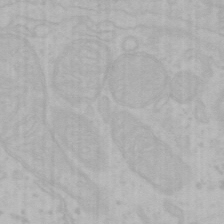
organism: Mouse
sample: Choroid plexus